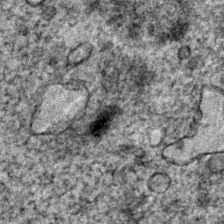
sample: Trachea